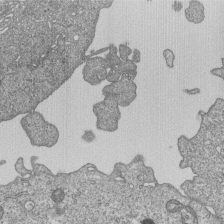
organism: Human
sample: MDA-MB-231 cells